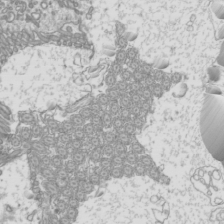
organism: Mouse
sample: Cilia; mouse epididymis